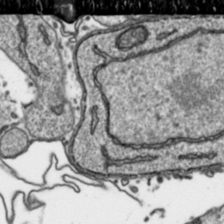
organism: Toxoplasma gondii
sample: Parasites in a vacuole inside a host cell